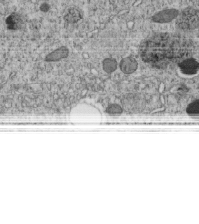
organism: C. elegans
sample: C. elegans embryo early stage